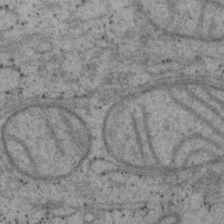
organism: Human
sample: HeLa cells